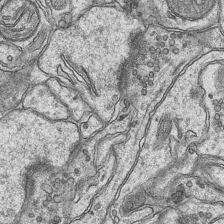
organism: Mouse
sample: CA1 Hippocampus